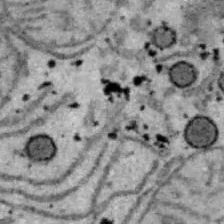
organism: Mouse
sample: Liver from an obese (ob/ob) mouse